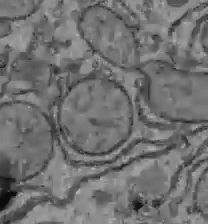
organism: C57BL Mouse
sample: Liver